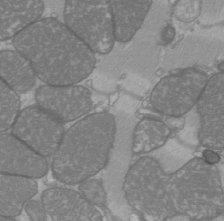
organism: C57BL Mouse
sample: Heart